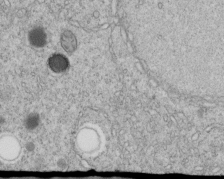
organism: C. elegans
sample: C. elegans embryo early stage